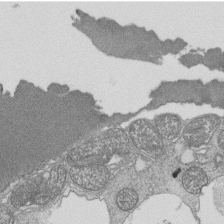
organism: Tetrahymena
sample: Cilia in tetrahymena